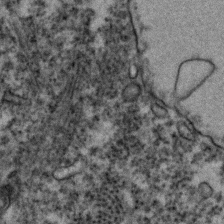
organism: Zebrafish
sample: Zebrafish embryo